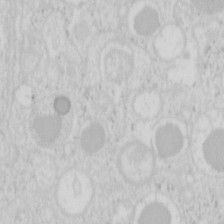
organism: Mouse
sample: Pancreas